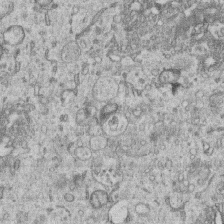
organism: Human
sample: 1205lu cells